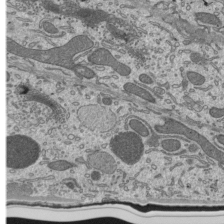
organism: Mouse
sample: Mouse epididymis efferent ductule cilia